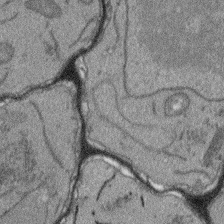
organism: Arabidopsis thaliana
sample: Root tip